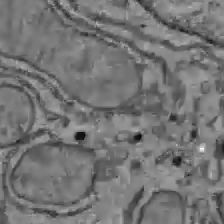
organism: C57BL Mouse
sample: Liver